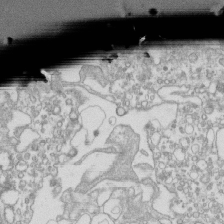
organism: Mouse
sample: Macrophages